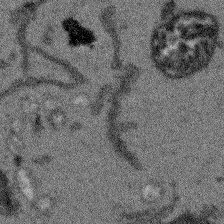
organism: Arabidopsis thaliana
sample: Root tip